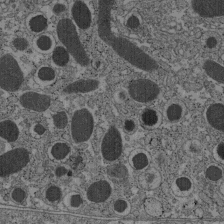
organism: C57BL Mouse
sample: Pancreatic islet